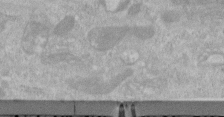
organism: Human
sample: Centriole in RPE cells